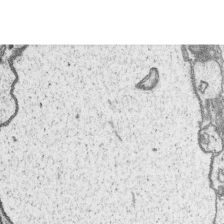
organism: Platynereis dumerilii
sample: Parapodia